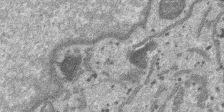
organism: Human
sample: Lung epithelial cells infected with SARS-CoV-2